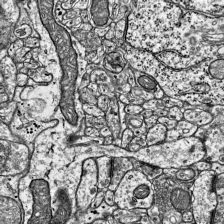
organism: Mouse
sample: Visual Cortex